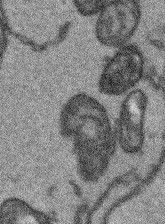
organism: Arabidopsis thaliana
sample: Root tip